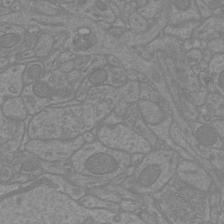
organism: Mouse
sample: Cortical neurons